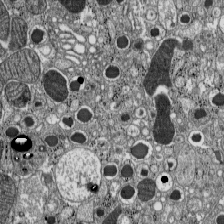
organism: C57BL Mouse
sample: Pancreatic islet